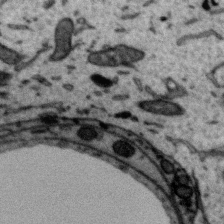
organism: Zebra finch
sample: Brain